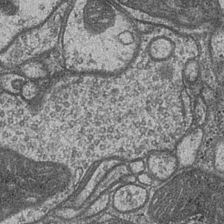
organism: Drosophila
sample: Optic medulla